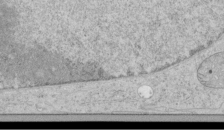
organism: Human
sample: Mitochondria in HCT116 cells